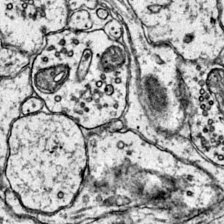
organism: Mouse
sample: Primary visual cortex